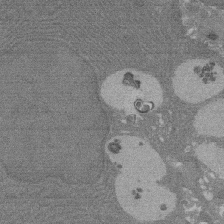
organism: Rat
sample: Salivary granule